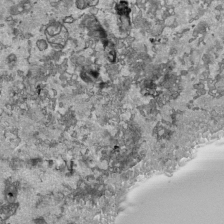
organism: Human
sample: Mitochondria in HCT116 cells